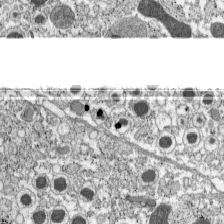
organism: C57BL Mouse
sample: Pancreatic islet